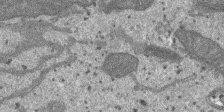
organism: Human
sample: Lung epithelial cells infected with SARS-CoV-2